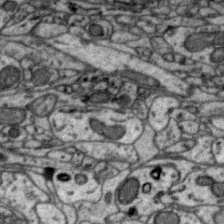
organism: Zebra finch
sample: Brain